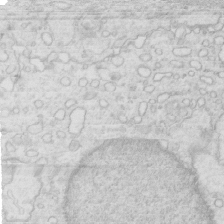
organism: Mouse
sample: Multiciliated cells